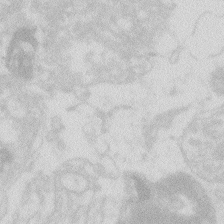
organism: Zebrafish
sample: Macrophage